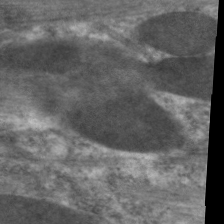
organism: C. elegans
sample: Pharynx